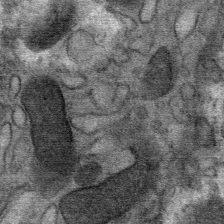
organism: Mouse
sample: Mouse Salivary gland